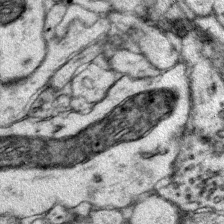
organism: Mouse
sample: Primary visual cortex